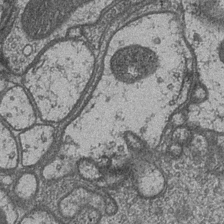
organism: Drosophila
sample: Optic medulla